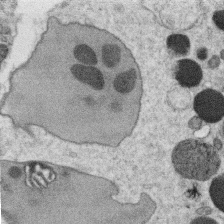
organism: C. elegans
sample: C. elegans oocyte; sperm cells